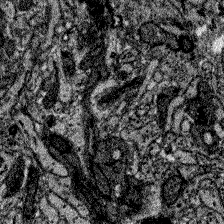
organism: Zebrafish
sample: Larval olfactory bulb